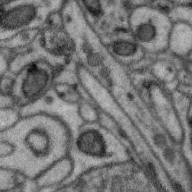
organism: Zebra finch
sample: Brain